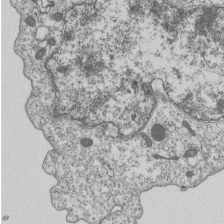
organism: Human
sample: MDA-MB-231 cells